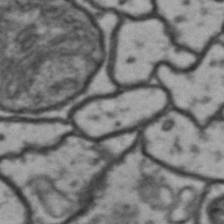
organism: Drosophila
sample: Brain